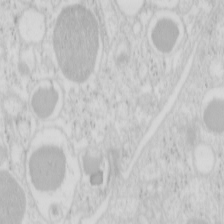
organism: Mouse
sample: Pancreas